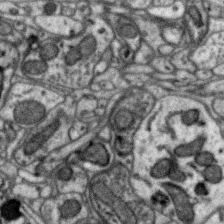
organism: Zebra finch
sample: Brain